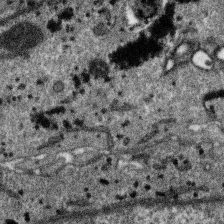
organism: Human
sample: Lung epithelial cells infected with SARS-CoV-2